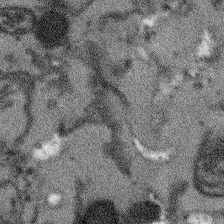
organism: Arabidopsis thaliana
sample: Root tip